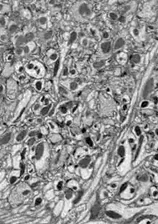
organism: Drosophila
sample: Optic lobe